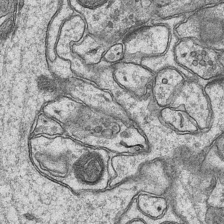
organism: Mouse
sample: CA1 Hippocampus